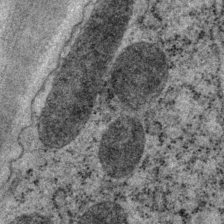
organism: P. pacificus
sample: Pharynx